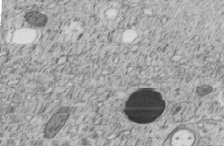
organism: C. elegans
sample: C. elegans embryo early stage